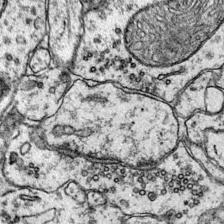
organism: Mouse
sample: Primary visual cortex